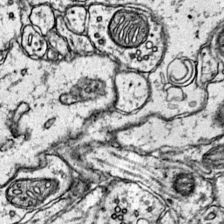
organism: Mouse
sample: Primary visual cortex